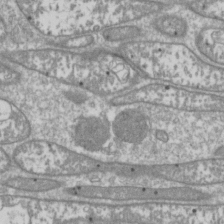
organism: Drosophila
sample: Cell division; meiosis; drosophila spermatocytes